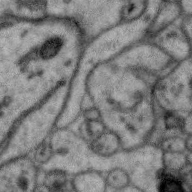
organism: Zebra finch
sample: Brain